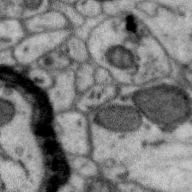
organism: Zebra finch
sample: Brain